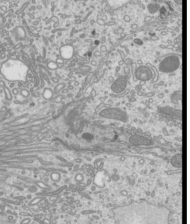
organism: Mouse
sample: Cilia; mouse epididymis